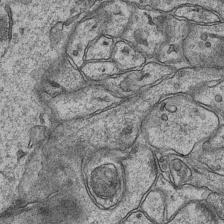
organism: Mouse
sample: CA1 Hippocampus